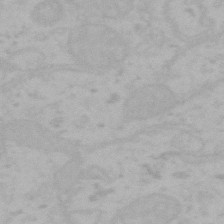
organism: Mouse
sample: Choroid plexus